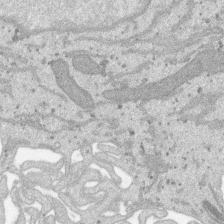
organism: Human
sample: Lung epithelial cells infected with SARS-CoV-2